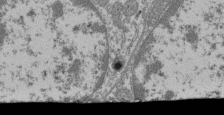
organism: Mouse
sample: Glomerulus